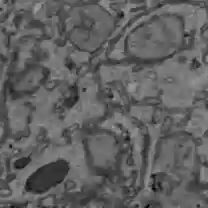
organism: C57BL Mouse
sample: Liver